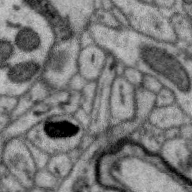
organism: Zebra finch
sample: Brain